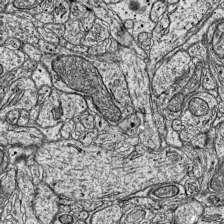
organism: Mouse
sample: Visual Cortex